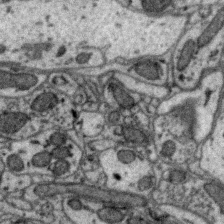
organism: Zebra finch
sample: Brain